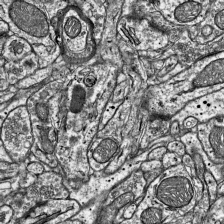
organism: Mouse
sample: Visual Cortex